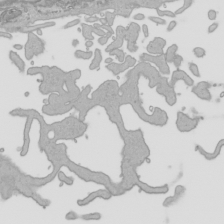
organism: Human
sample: Mitochondria in HCT116 cells